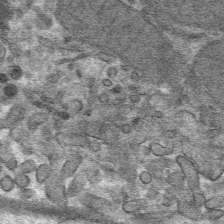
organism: Mouse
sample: Mouse hepatocytes